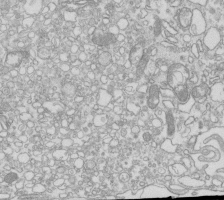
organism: Mouse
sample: Macrophages